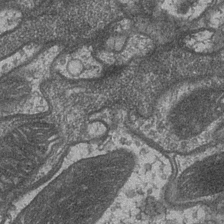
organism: Drosophila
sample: Optic medulla